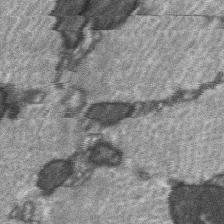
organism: C57BL Mouse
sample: Soleus